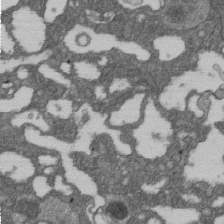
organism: Drosophila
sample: Nephrocyte